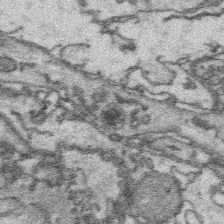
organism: Platynereis dumerilii